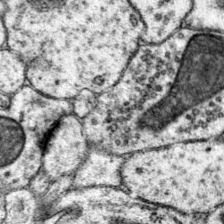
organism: Mouse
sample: Primary visual cortex